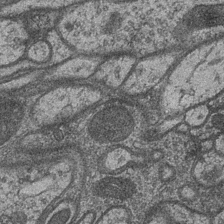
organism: Drosophila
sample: Optic medulla